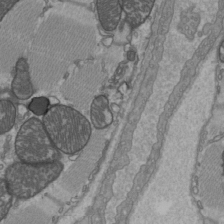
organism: C57BL Mouse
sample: Heart